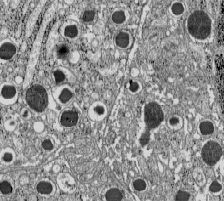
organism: C57BL Mouse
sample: Pancreatic islet